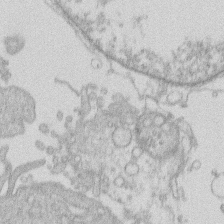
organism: Human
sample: Macrophage cells